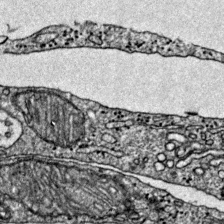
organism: Mouse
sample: Primary visual cortex